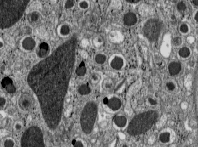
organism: C57BL Mouse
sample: Pancreatic islet